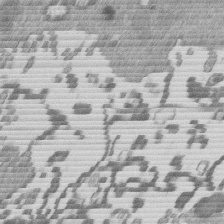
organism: Mouse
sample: Dividing mouse embryo 1 cell stage